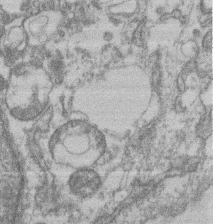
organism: Mouse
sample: T cell stromal cell synapse